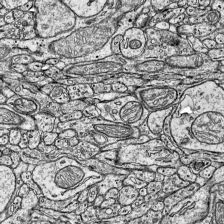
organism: Mouse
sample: Visual Cortex